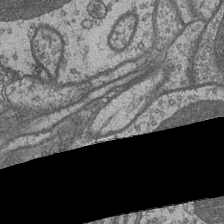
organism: Drosophila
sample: Optic medulla